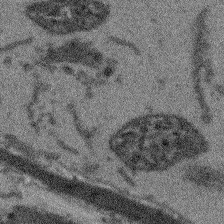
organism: Arabidopsis thaliana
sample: Root tip